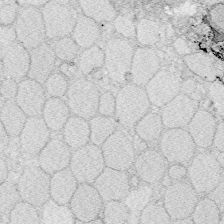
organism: Zebrafish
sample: Whole-Brain